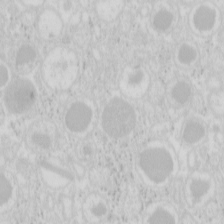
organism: Mouse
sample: Pancreas